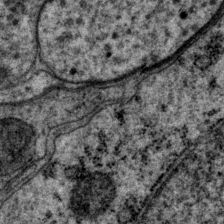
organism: P. pacificus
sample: Pharynx